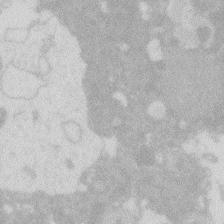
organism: Zebrafish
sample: Macrophage